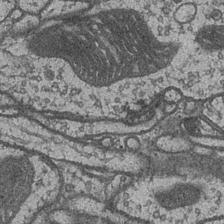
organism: Drosophila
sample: Optic medulla